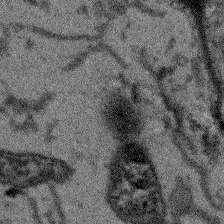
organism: Arabidopsis thaliana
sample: Root tip